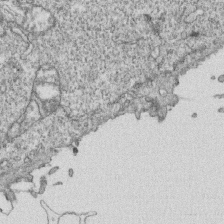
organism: Human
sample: HeLa cell HIV synapse